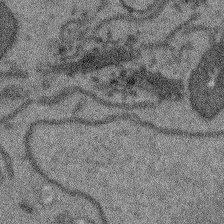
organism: Arabidopsis thaliana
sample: Root tip